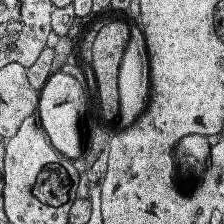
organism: Human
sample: Temporal Lobe